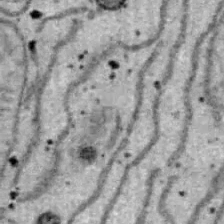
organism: Mouse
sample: Liver from an obese (ob/ob) mouse